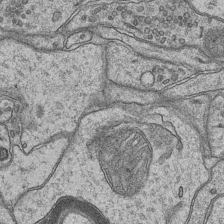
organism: Mouse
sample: CA1 Hippocampus